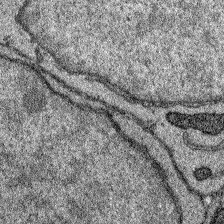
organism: Zebrafish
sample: Larval olfactory bulb